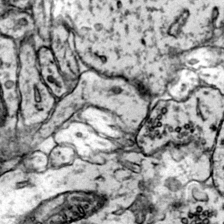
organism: Mouse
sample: Primary visual cortex